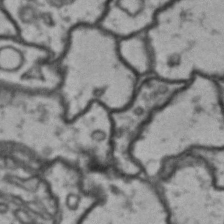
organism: Drosophila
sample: Brain